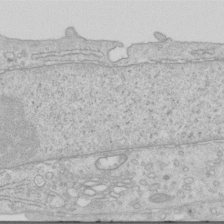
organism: Human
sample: Centriole in RPE cells